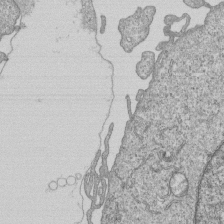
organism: Human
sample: MDA-MB-231 cells